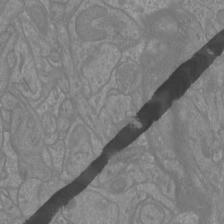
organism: Mouse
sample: Cortical neurons